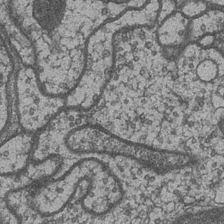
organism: Drosophila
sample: Optic medulla